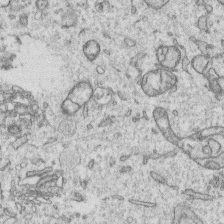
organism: Human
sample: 1205lu cells